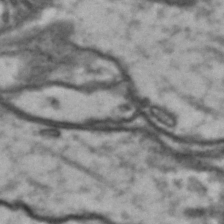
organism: Drosophila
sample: Brain